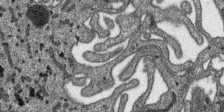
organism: Human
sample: Lung epithelial cells infected with SARS-CoV-2